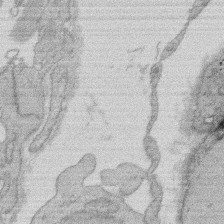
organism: Rat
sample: Salivary granule